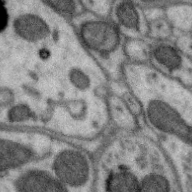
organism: Zebra finch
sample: Brain